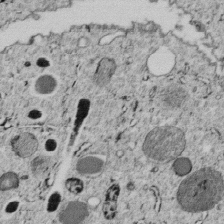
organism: C. elegans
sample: C. elegans embryo early stage